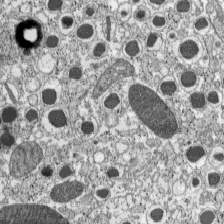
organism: C57BL Mouse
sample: Pancreatic islet